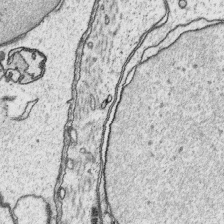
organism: Platynereis dumerilii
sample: Parapodia